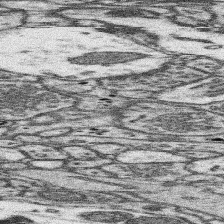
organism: Mouse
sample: Somatosensory cortex neuropil